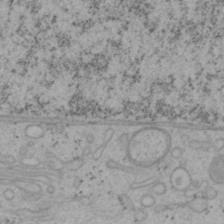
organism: Human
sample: HeLa cells